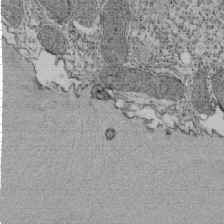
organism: Tetrahymena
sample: Cilia in tetrahymena